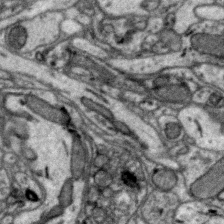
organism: Zebra finch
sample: Brain